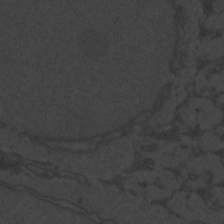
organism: Zebrafish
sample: Macrophage infected with Toxoplasma gondii